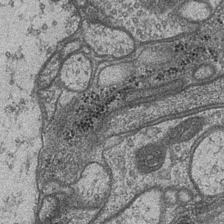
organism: Drosophila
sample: Optic medulla